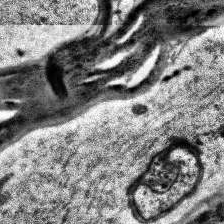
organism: Human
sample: Temporal Lobe